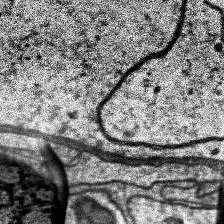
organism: Human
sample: Temporal Lobe